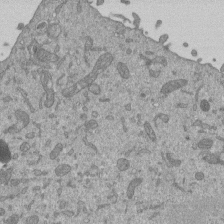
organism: Mouse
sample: ED-1 cell nuclei; centrioles